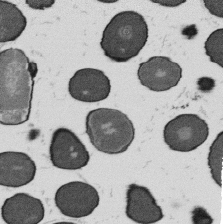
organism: B. subtilis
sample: Bacterial spore